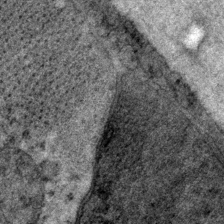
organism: P. pacificus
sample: Pharynx